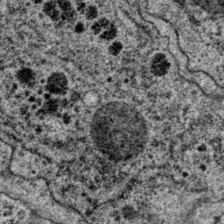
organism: P. pacificus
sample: Pharynx